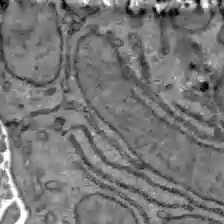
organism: C57BL Mouse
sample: Liver